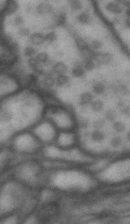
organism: Drosophila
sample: Brain